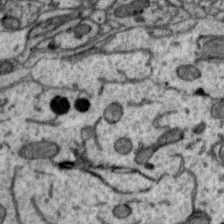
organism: Zebra finch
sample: Brain